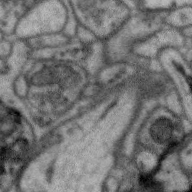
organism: Zebra finch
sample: Brain